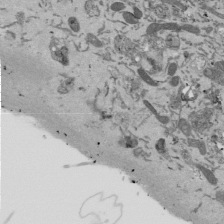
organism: Mouse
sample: ED-1 cell nuclei; centrioles